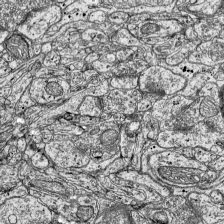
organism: Mouse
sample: Visual Cortex